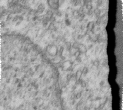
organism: Human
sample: Centriole in RPE cells